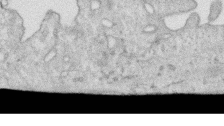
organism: Human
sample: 1205lu cells